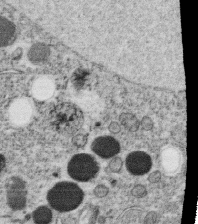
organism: C. elegans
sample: C. elegans oocyte; sperm cells